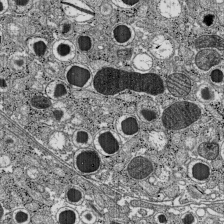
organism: C57BL Mouse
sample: Pancreatic islet